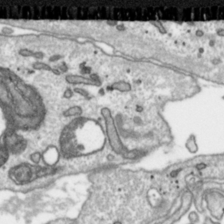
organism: Toxoplasma gondii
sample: Parasites in a vacuole inside a host cell